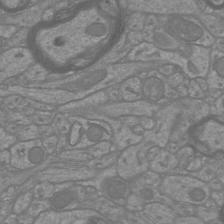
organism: Mouse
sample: Cortical neurons